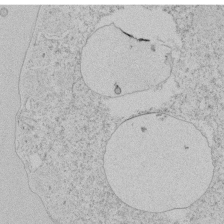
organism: Tetrahymena